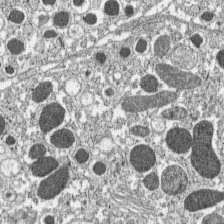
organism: C57BL Mouse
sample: Pancreatic islet